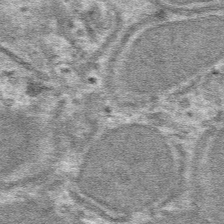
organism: Mouse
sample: Mouse hepatocytes